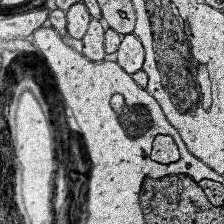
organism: Human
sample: Temporal Lobe